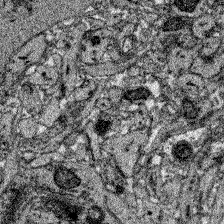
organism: Zebrafish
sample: Larval olfactory bulb